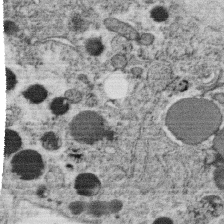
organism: C. elegans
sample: C. elegans oocyte; sperm cells